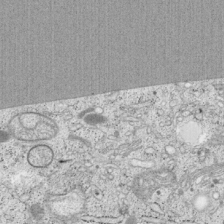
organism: African green monkey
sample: COS-7 cells